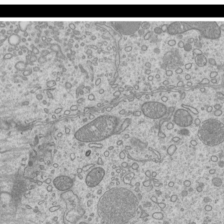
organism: Mouse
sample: Cilia; mouse epididymis